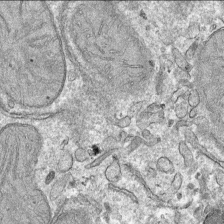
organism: Mouse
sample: Mouse hepatocytes